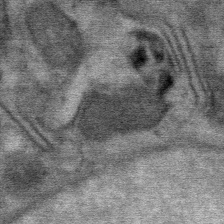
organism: Mouse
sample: Mouse Salivary gland